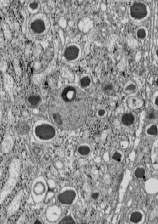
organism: C57BL Mouse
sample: Pancreatic islet